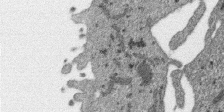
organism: Human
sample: Lung epithelial cells infected with SARS-CoV-2